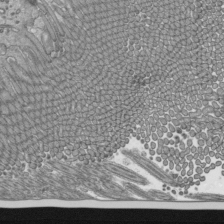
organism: Mouse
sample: Mouse epididymis efferent ductule cilia